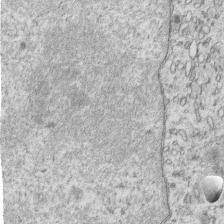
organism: Human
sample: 1205lu cells